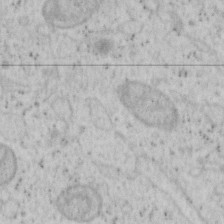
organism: Human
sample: HeLa cells